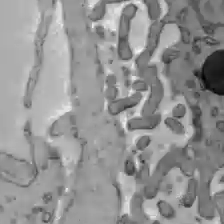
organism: C57BL Mouse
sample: Liver